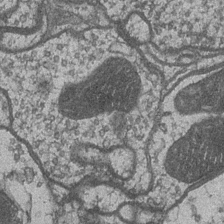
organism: Drosophila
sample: Optic medulla